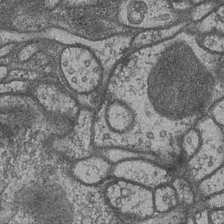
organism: Drosophila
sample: Optic medulla